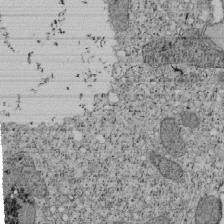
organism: Tetrahymena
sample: Cilia in tetrahymena